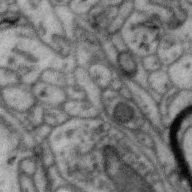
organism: Zebra finch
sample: Brain